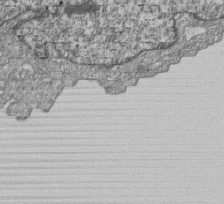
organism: Human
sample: MDA-MB-231 cells